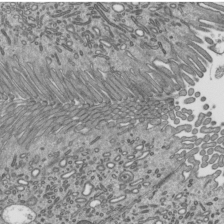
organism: Mouse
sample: Mouse epididymis efferent ductule cilia